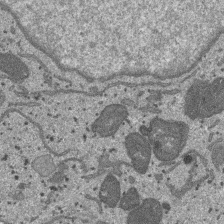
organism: Human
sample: Lung epithelial cells infected with SARS-CoV-2